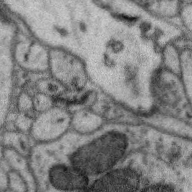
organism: Zebra finch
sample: Brain